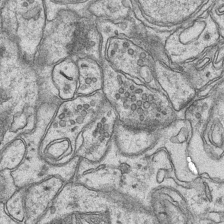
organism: Mouse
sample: CA1 Hippocampus